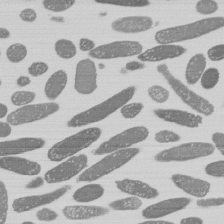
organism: E. coli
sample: Bacterial nucleoid